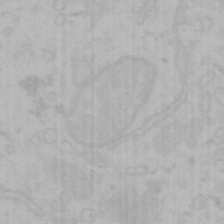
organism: Mouse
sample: Choroid plexus